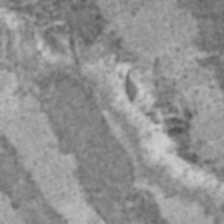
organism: C57BL Mouse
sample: Heart